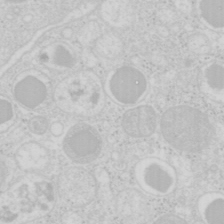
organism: Mouse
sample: Pancreas